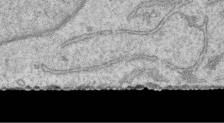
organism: Human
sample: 1205lu cells